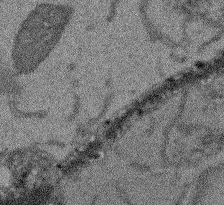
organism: Arabidopsis thaliana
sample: Root tip